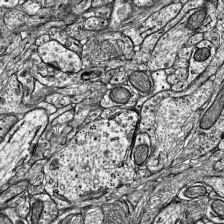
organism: Mouse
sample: Visual Cortex